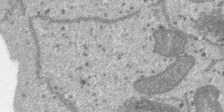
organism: Human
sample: Lung epithelial cells infected with SARS-CoV-2